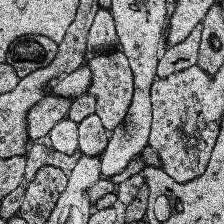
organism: Human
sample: Temporal Lobe